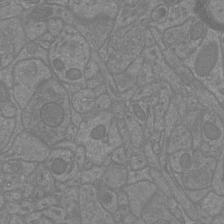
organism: Mouse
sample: Cortical neurons